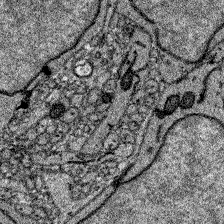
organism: Zebrafish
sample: Larval olfactory bulb